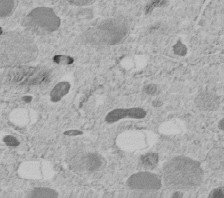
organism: C. elegans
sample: C. elegans embryo early stage